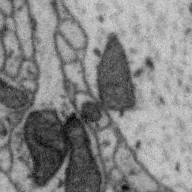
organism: Zebra finch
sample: Brain